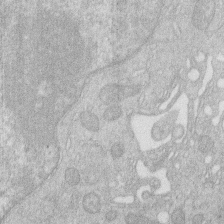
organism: Human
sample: Macrophage cells